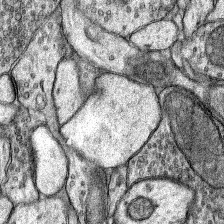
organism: Rat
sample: Hippocampus